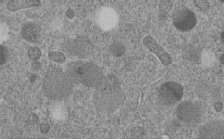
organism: C. elegans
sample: C. elegans embryo early stage